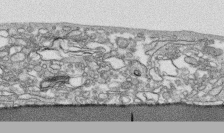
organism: Human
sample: CRL-1474